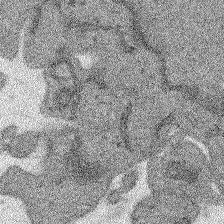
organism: Human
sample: HeLa cells